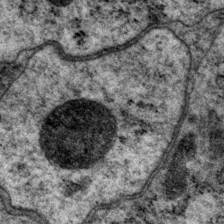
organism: P. pacificus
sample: Pharynx